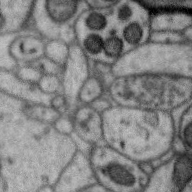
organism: Zebra finch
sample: Brain